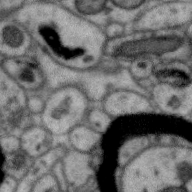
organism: Zebra finch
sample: Brain